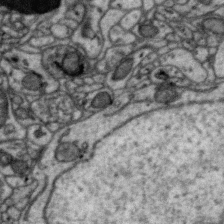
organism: Zebra finch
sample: Brain